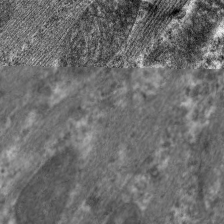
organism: C. elegans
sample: Pharynx